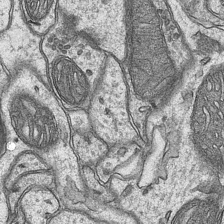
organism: Mouse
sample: CA1 Hippocampus